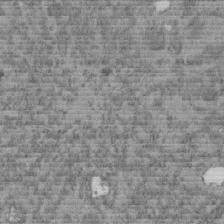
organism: C. elegans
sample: C. elegans embryo early stage